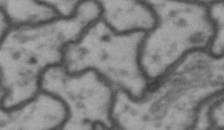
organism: Drosophila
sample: Brain